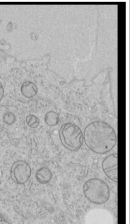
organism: Human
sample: Mitochondria in HCT116 cells